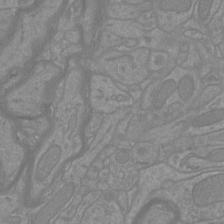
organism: Mouse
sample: Cortical neurons